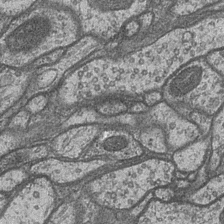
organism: Drosophila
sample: Optic medulla